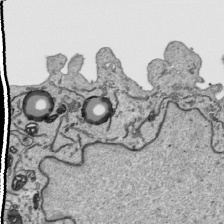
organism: Human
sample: Mitochondria in HCT116 cells